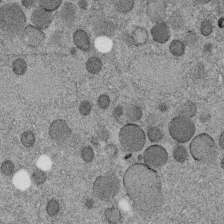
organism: C. elegans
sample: C. elegans embryo early stage